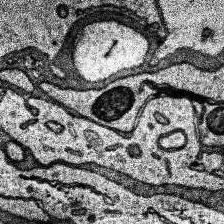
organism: Human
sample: Temporal Lobe